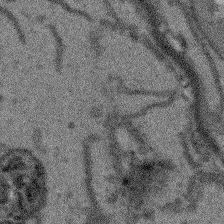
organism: Arabidopsis thaliana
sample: Root tip